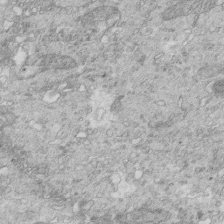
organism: Mouse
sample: Multiciliated cells